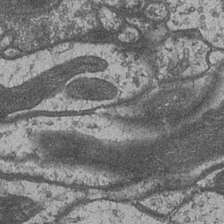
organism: Drosophila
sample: Optic medulla